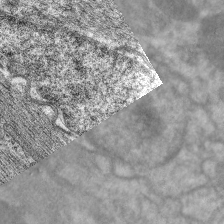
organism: C. elegans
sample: Pharynx